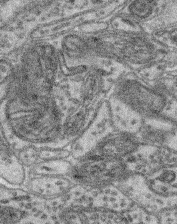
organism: Mouse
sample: Retina